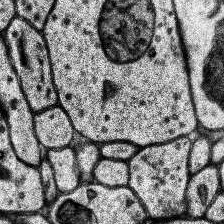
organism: Human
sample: Temporal Lobe